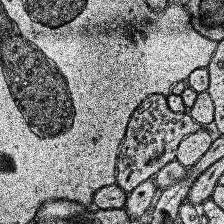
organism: Human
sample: Temporal Lobe